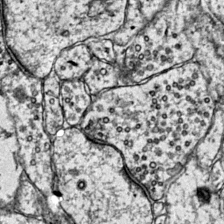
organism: Mouse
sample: Primary visual cortex